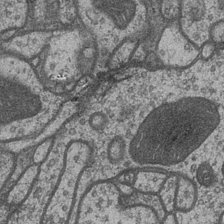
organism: Drosophila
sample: Optic medulla